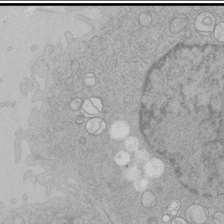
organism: Human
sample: Mitochondria in HCT116 cells